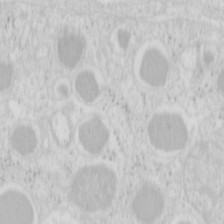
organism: Mouse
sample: Pancreas